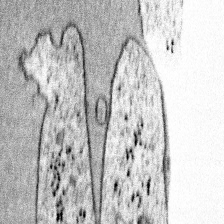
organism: Human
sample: HeLa cells